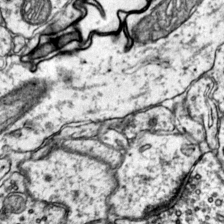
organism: Mouse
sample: Primary visual cortex